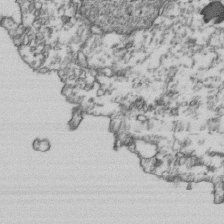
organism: Human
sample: Activated Jurkat CD4+ T cells